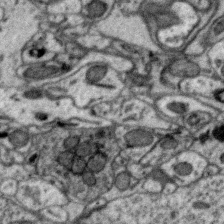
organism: Zebra finch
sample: Brain